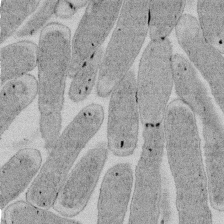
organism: E. coli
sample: Bacterial nucleoid